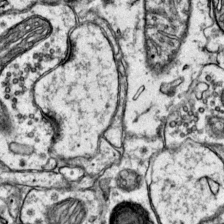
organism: Mouse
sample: Primary visual cortex